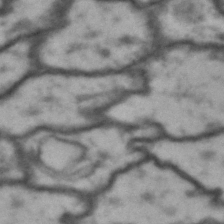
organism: Drosophila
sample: Brain